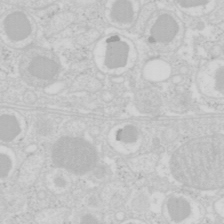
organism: Mouse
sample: Pancreas